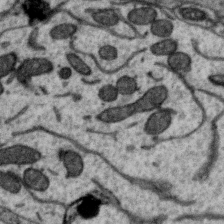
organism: Zebra finch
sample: Brain